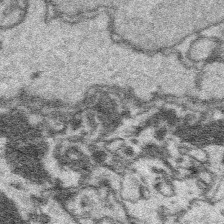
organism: Platynereis dumerilii